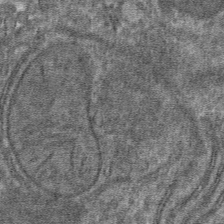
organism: Mouse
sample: Mouse hepatocytes